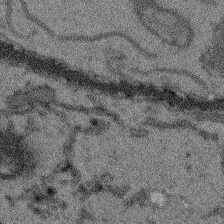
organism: Arabidopsis thaliana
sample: Root tip